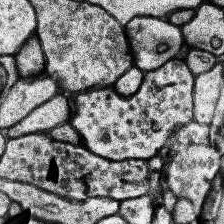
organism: Human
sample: Temporal Lobe